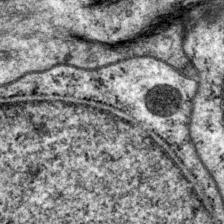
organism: P. pacificus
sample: Pharynx